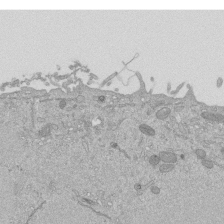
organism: Mouse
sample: ED-1 cell nuclei; centrioles